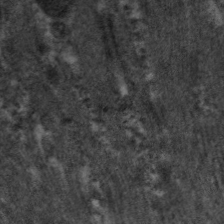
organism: C. elegans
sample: Pharynx